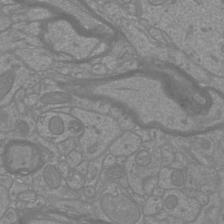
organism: Mouse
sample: Cortical neurons